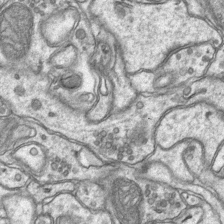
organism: Mouse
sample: CA1 Hippocampus